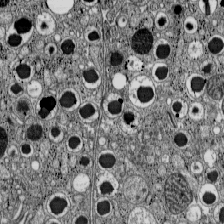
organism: C57BL Mouse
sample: Pancreatic islet